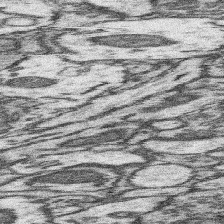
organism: Mouse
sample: Somatosensory cortex neuropil